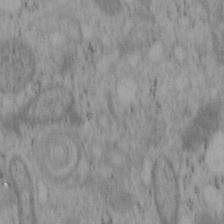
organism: Mouse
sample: OT-I killer T cells with ID8 ovarian cancer cells